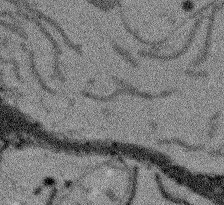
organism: Arabidopsis thaliana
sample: Root tip